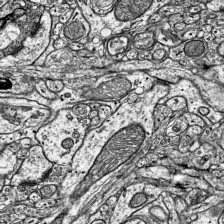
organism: Mouse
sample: Visual Cortex